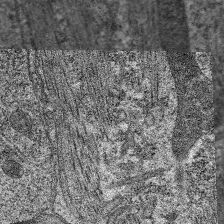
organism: C. elegans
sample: Pharynx